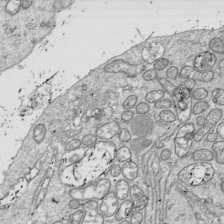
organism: Drosophila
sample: Cell division; meiosis; drosophila spermatocytes